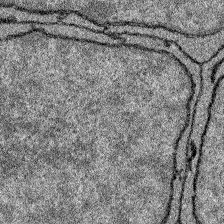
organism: Zebrafish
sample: Larval olfactory bulb